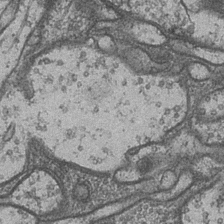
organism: Drosophila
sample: Optic medulla